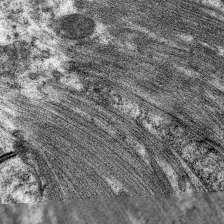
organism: C. elegans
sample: Pharynx